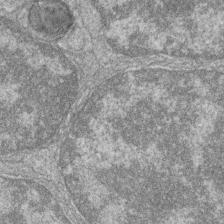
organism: Zebrafish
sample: Cilia; retinal pigment epithelium